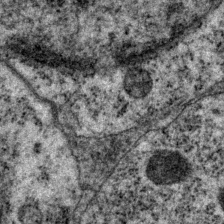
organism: P. pacificus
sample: Pharynx